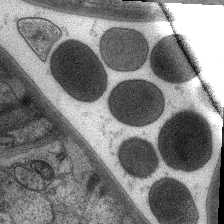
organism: C. elegans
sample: Pharynx